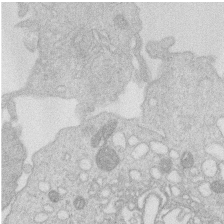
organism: Human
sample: Macrophage cells